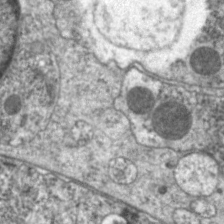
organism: C. elegans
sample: Pharynx